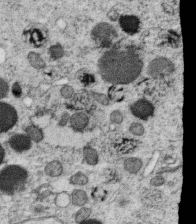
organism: C. elegans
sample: C. elegans oocyte; sperm cells